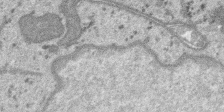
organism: Human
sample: Lung epithelial cells infected with SARS-CoV-2